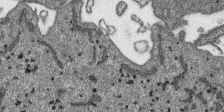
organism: Human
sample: Lung epithelial cells infected with SARS-CoV-2